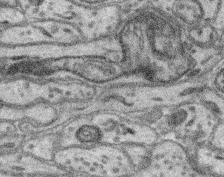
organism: Mouse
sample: Retina